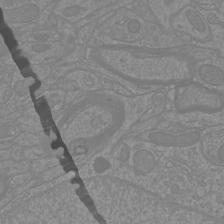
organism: Mouse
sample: Cortical neurons